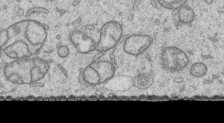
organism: Human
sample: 1205lu cells